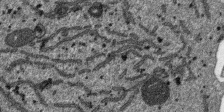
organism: Human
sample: Lung epithelial cells infected with SARS-CoV-2